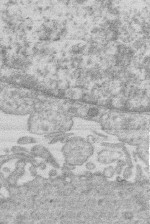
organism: Human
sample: Macrophage cells